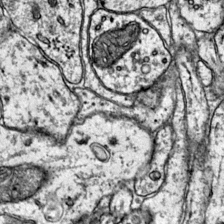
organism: Mouse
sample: Primary visual cortex